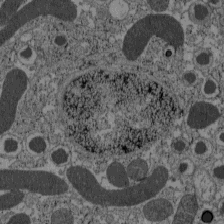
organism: C57BL Mouse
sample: Pancreatic islet